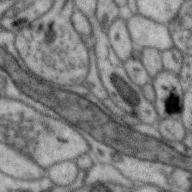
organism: Zebra finch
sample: Brain